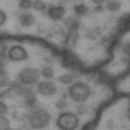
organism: Drosophila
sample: Brain